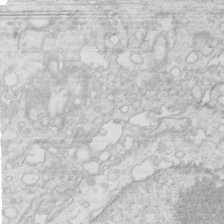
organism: Mouse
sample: Multiciliated cells